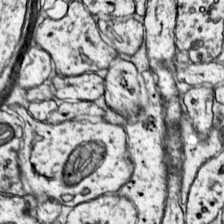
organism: Mouse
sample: Primary visual cortex